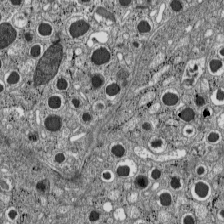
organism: C57BL Mouse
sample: Pancreatic islet